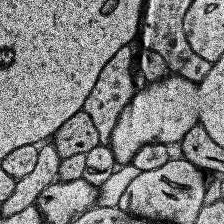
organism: Human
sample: Temporal Lobe